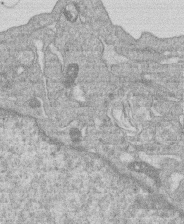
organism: Human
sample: Macrophage cells